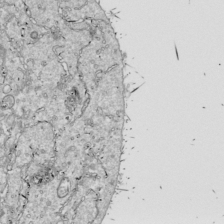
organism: Drosophila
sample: Cell division; meiosis; drosophila spermatocytes